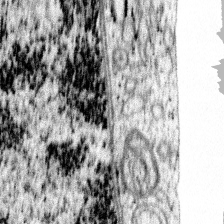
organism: Human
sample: HeLa cells